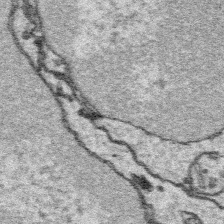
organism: Platynereis dumerilii